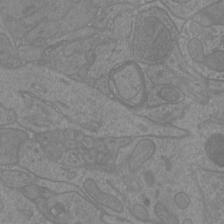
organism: Mouse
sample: Cortical neurons